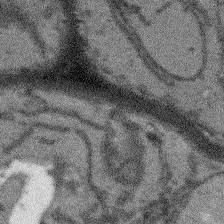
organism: Arabidopsis thaliana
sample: Root tip